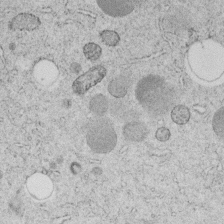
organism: C. elegans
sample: C. elegans embryo early stage